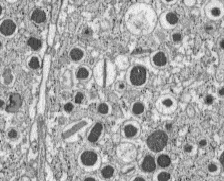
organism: C57BL Mouse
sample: Pancreatic islet